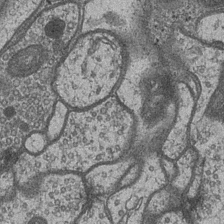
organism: Drosophila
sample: Optic medulla